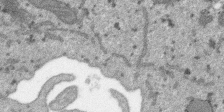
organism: Human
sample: Lung epithelial cells infected with SARS-CoV-2